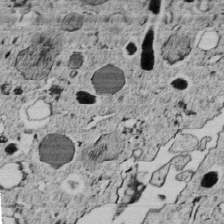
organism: C. elegans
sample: C. elegans embryo early stage